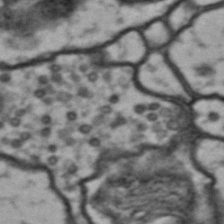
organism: Drosophila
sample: Brain